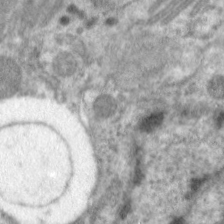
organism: C. elegans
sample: Pharynx